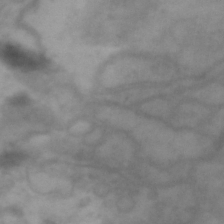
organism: Drosophila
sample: Brain